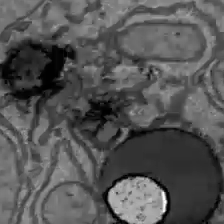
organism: C57BL Mouse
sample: Liver